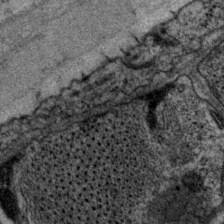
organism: P. pacificus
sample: Pharynx